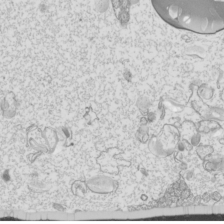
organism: Mouse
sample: Cilia; mouse epididymis